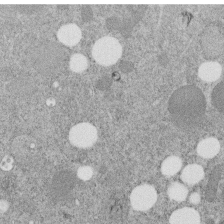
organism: C. elegans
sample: C. elegans embryo early stage